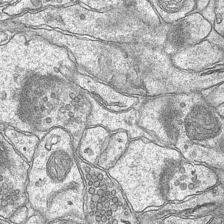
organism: Mouse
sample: CA1 Hippocampus